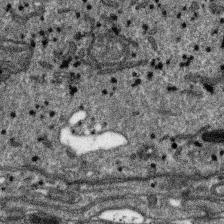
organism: Human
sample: Lung epithelial cells infected with SARS-CoV-2